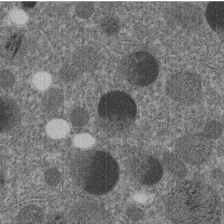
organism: C. elegans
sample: C. elegans embryo early stage